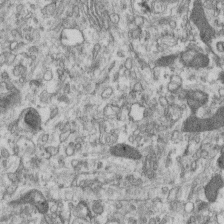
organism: Mouse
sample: Centriole in ependymal cells